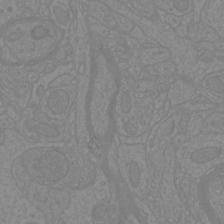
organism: Mouse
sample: Cortical neurons